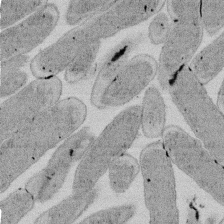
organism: E. coli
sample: Bacterial nucleoid